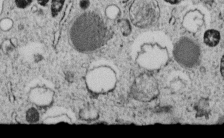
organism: C. elegans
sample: C. elegans embryo early stage